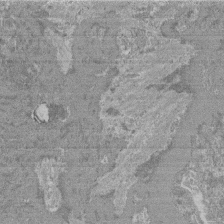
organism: Mouse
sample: Glomerulus